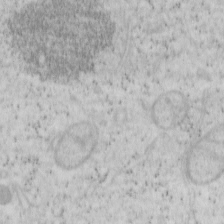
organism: Human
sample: HeLa cells